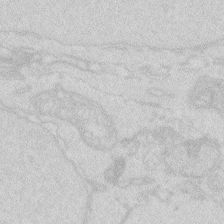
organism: Zebrafish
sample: Macrophage